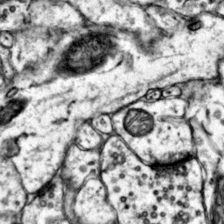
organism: Mouse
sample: Primary visual cortex